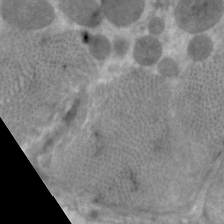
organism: C. elegans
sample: Pharynx